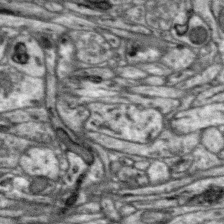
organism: Zebra finch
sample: Brain